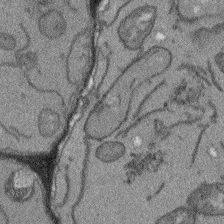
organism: Arabidopsis thaliana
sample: Root tip